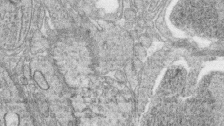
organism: Zebrafish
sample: synaptic ribbons in rod cells and cone cells